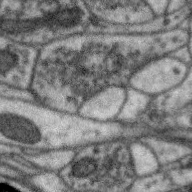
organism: Zebra finch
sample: Brain